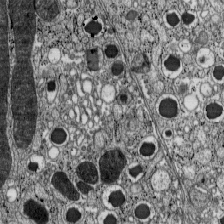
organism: C57BL Mouse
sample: Pancreatic islet